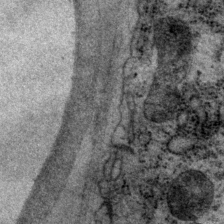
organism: P. pacificus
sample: Pharynx